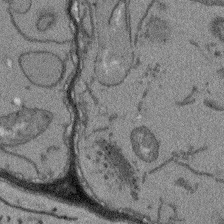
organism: Arabidopsis thaliana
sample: Root tip